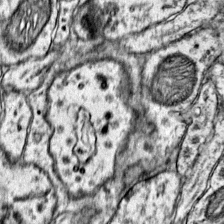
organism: Mouse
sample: Primary visual cortex